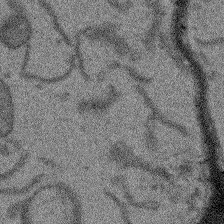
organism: Arabidopsis thaliana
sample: Root tip